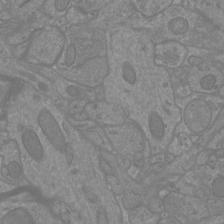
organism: Mouse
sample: Cortical neurons